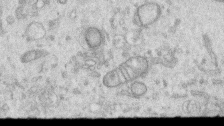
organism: Human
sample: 1205lu cells